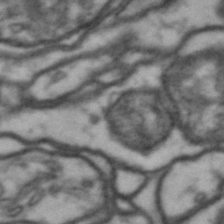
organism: Drosophila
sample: Brain